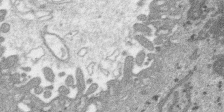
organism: Human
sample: Lung epithelial cells infected with SARS-CoV-2